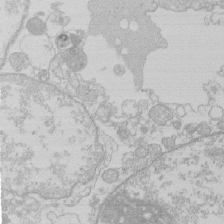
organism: Human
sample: Macrophage cells